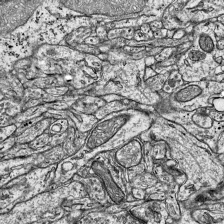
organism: Mouse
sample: Visual Cortex